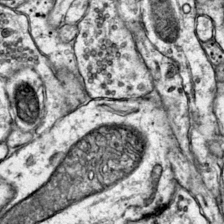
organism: Mouse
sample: Primary visual cortex